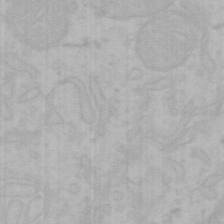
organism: Mouse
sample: Choroid plexus